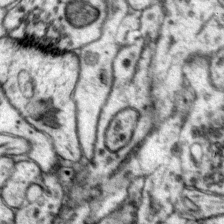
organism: Mouse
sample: Primary visual cortex